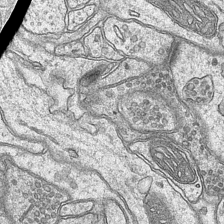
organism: Mouse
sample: CA1 Hippocampus